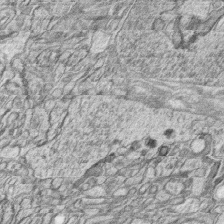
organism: Zebrafish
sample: synaptic ribbons in rod cells and cone cells